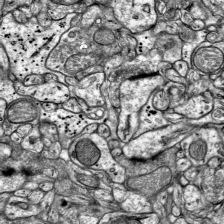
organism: Mouse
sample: Visual Cortex